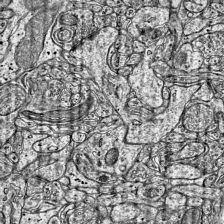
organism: Mouse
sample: Visual Cortex